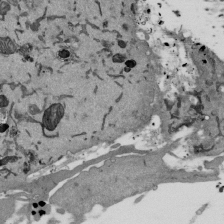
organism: Mouse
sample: ED-1 cell nuclei; centrioles